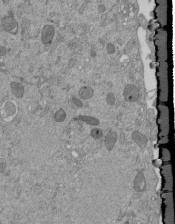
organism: Mouse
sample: ED-1 cell nuclei; centrioles